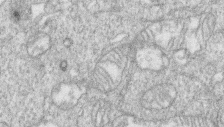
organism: Human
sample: HeLa cell HIV synapse